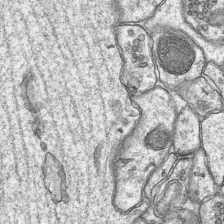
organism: Mouse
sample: CA1 Hippocampus